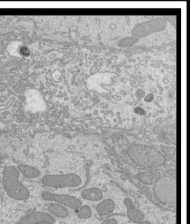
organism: Mouse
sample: Cilia; mouse epididymis